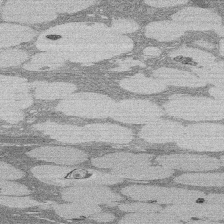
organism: Rat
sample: Salivary granule